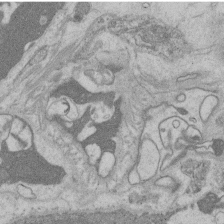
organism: Rat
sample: Salivary granule